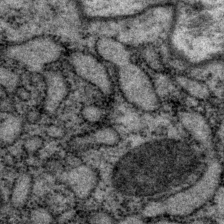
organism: P. pacificus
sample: Pharynx